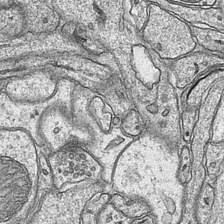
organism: Mouse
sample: CA1 Hippocampus